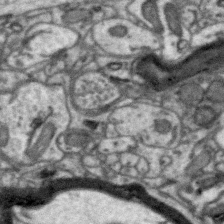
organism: Zebra finch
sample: Brain